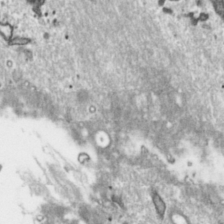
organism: Toxoplasma gondii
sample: Parasites in a vacuole inside a host cell